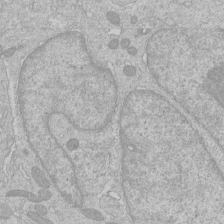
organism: Human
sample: Macrophage cells